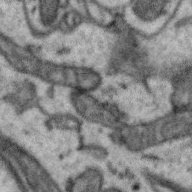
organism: Zebra finch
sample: Brain